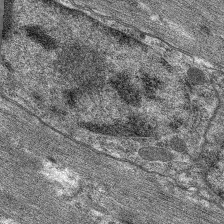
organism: C. elegans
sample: Pharynx